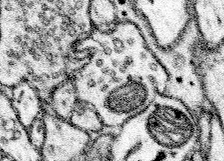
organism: Mouse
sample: Somatosensory cortex neuropil